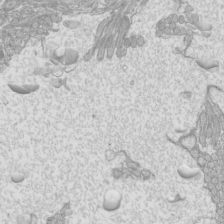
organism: Mouse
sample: Cilia; mouse epididymis